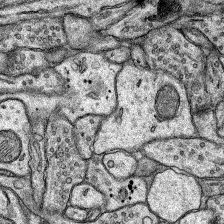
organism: Rat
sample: Hippocampus